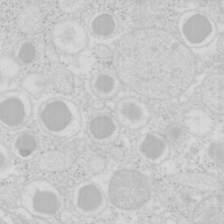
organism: Mouse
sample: Pancreas